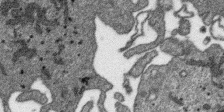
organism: Human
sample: Lung epithelial cells infected with SARS-CoV-2